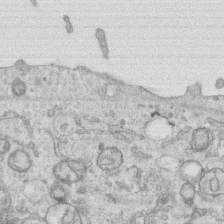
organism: Human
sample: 1205lu cells